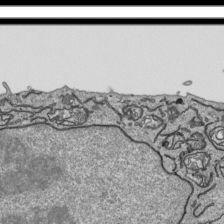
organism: Human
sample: Mitochondria in HCT116 cells